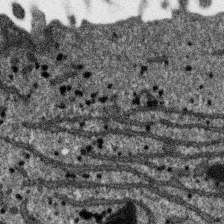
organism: Human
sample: Lung epithelial cells infected with SARS-CoV-2